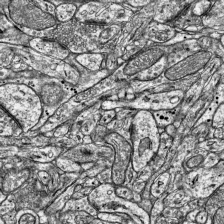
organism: Mouse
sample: Visual Cortex